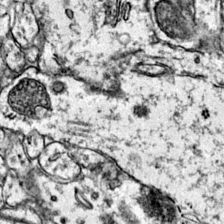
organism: Mouse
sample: Primary visual cortex